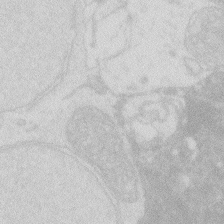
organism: Zebrafish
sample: Macrophage